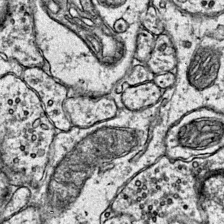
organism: Mouse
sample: Primary visual cortex